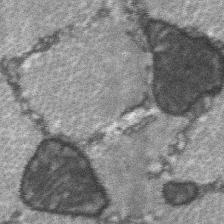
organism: C57BL Mouse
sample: Soleus